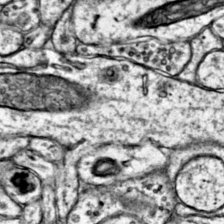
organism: Mouse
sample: Primary visual cortex